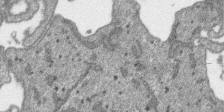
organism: Human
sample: Lung epithelial cells infected with SARS-CoV-2